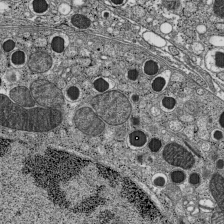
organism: C57BL Mouse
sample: Pancreatic islet